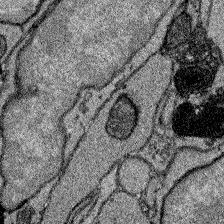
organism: Zebrafish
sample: Larval olfactory bulb